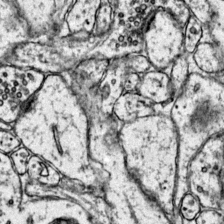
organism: Mouse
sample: Primary visual cortex